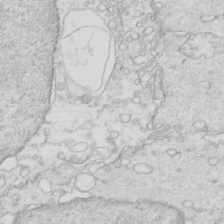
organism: Mouse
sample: Multiciliated cells